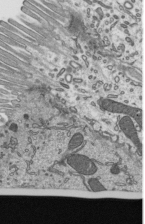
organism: Mouse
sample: Mouse epididymis efferent ductule cilia